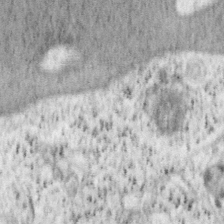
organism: Mouse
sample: OT-I killer T cells with ID8 ovarian cancer cells